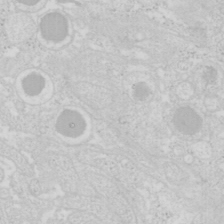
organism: Mouse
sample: Pancreas